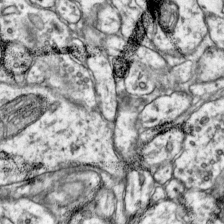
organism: Mouse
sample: Primary visual cortex